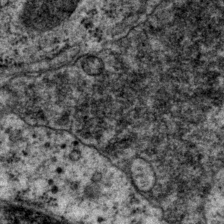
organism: P. pacificus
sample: Pharynx